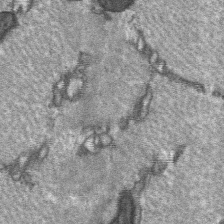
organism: C57BL Mouse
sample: Soleus